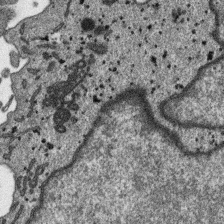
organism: Human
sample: Lung epithelial cells infected with SARS-CoV-2